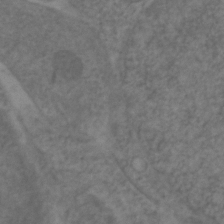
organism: Zebrafish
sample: Zebrafish embryo